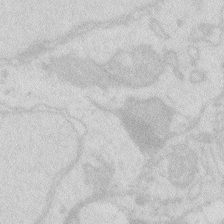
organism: Zebrafish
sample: Macrophage